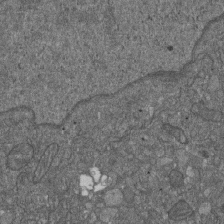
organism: Drosophila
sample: Nephrocyte